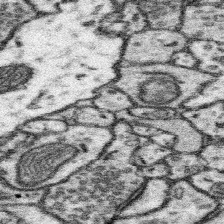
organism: Mouse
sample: Somatosensory cortex neuropil